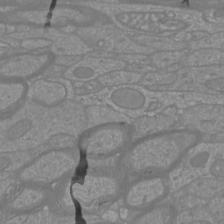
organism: Mouse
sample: Cortical neurons